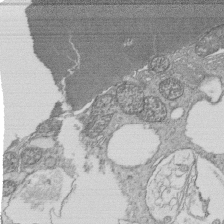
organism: Tetrahymena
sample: Cilia in tetrahymena